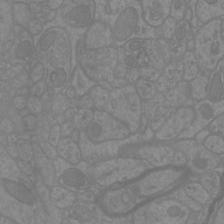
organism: Mouse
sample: Cortical neurons